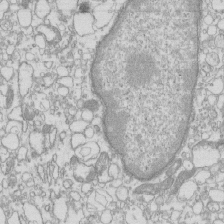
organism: Mouse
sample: Macrophages